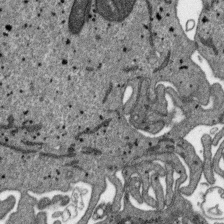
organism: Human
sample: Lung epithelial cells, uninfected (mock) control